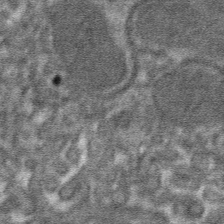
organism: Mouse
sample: Mouse hepatocytes